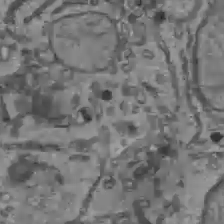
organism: C57BL Mouse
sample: Liver